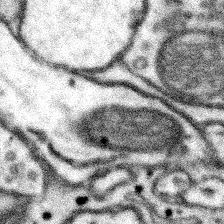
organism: Mouse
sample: Somatosensory cortex neuropil